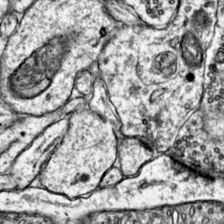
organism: Mouse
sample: Primary visual cortex